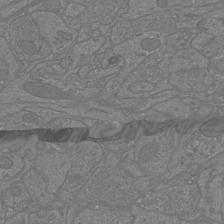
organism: Mouse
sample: Cortical neurons